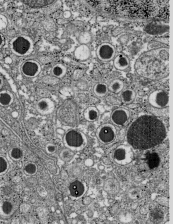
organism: C57BL Mouse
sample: Pancreatic islet